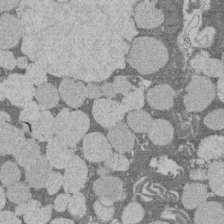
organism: Rat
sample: Salivary granule